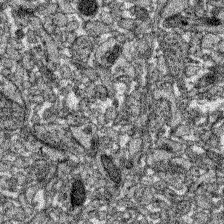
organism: Zebrafish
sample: Larval olfactory bulb